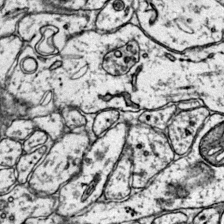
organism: Mouse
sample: Primary visual cortex